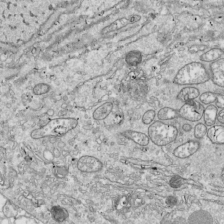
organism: Drosophila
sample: Cell division; meiosis; drosophila spermatocytes